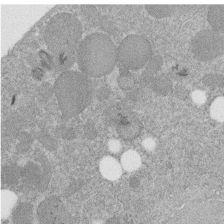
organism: C. elegans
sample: C. elegans embryo early stage